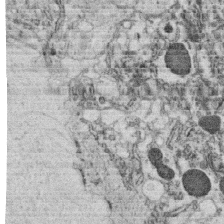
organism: C. elegans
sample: C. elegans oocyte; sperm cells